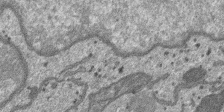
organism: Human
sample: Lung epithelial cells infected with SARS-CoV-2